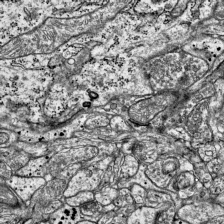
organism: Mouse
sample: Visual Cortex